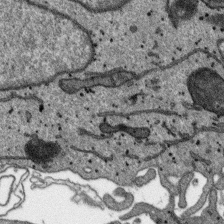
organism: Human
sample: Lung epithelial cells, uninfected (mock) control